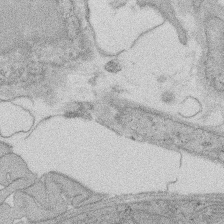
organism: Rat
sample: Salivary granule